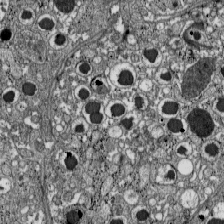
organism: C57BL Mouse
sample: Pancreatic islet